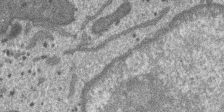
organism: Human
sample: Lung epithelial cells infected with SARS-CoV-2